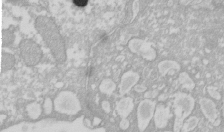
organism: Xenopus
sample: Cilia; centrioles in frog embryo cells